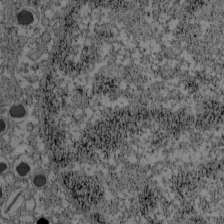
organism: C57BL Mouse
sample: Pancreatic islet